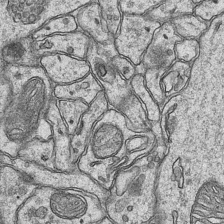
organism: Mouse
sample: CA1 Hippocampus